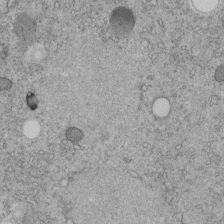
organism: C. elegans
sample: C. elegans embryo early stage